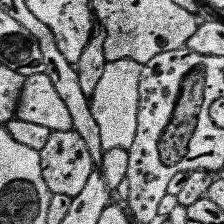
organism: Human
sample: Temporal Lobe